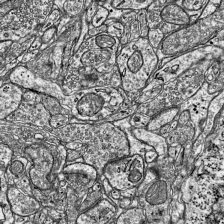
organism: Mouse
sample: Visual Cortex